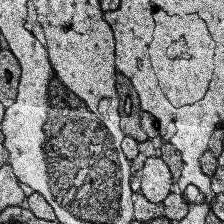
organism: Human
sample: Temporal Lobe